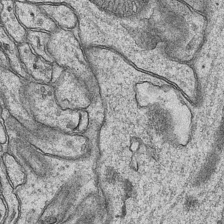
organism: Mouse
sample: CA1 Hippocampus